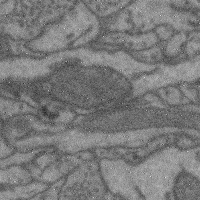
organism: Mouse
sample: Cerebral cortex